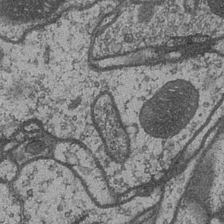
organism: Drosophila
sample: Optic medulla